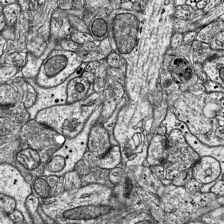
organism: Mouse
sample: Visual Cortex